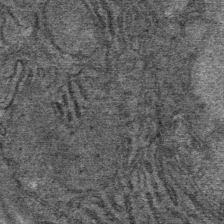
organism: Mouse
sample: Mouse Salivary gland